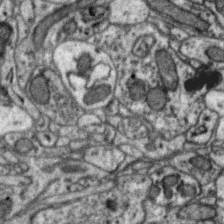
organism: Zebra finch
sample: Brain